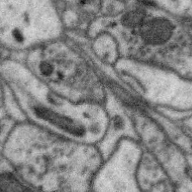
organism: Zebra finch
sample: Brain